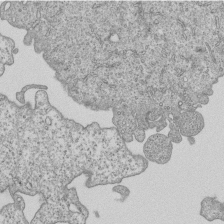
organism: Human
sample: MDA-MB-231 cells